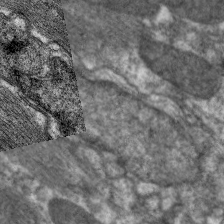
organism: C. elegans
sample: Pharynx